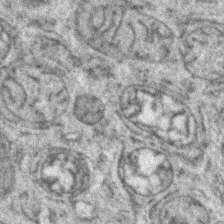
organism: Zebrafish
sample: Zebrafish embryo